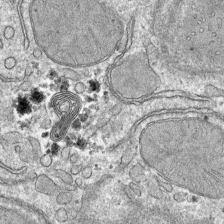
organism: Mouse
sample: Mouse hepatocytes